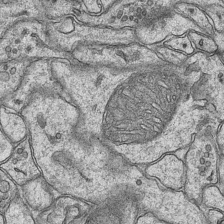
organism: Mouse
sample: CA1 Hippocampus